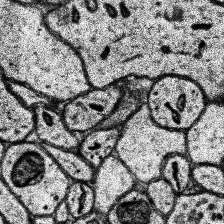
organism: Human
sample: Temporal Lobe